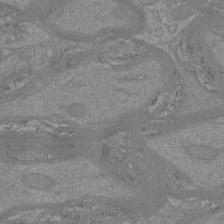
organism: Mouse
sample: Cortical neurons